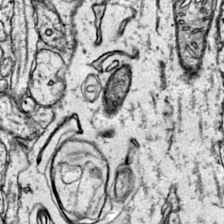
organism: Mouse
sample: Primary visual cortex